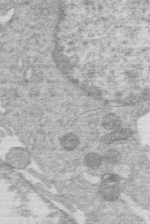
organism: Human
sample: Macrophage cells